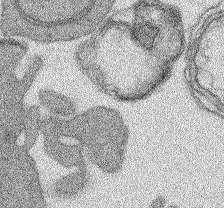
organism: Human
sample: HeLa cells